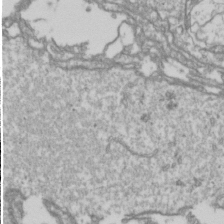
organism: Drosophila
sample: Cell division; meiosis; drosophila spermatocytes